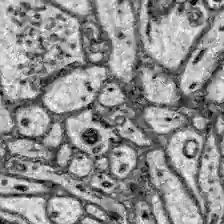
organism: Zebrafish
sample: Brain